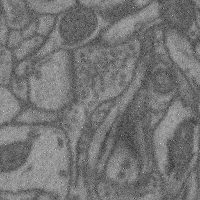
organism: Mouse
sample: Cerebral cortex